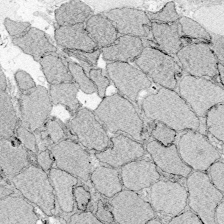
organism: Zebrafish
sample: Whole-Brain